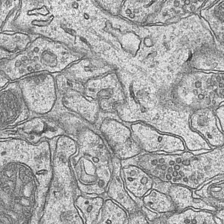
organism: Mouse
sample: CA1 Hippocampus